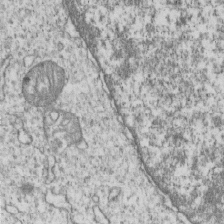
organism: Human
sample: MDA-MB-231 cells